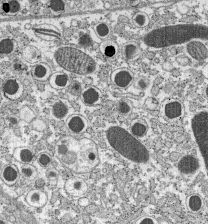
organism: C57BL Mouse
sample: Pancreatic islet